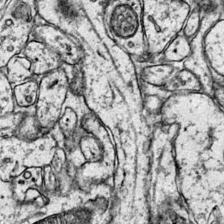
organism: Mouse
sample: Primary visual cortex